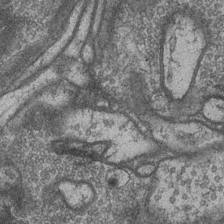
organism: Drosophila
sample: Optic medulla